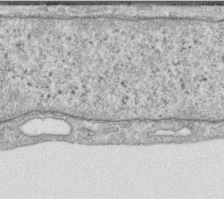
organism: Human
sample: Centriole in RPE cells